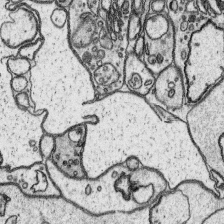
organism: Platynereis dumerilii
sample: Parapodia